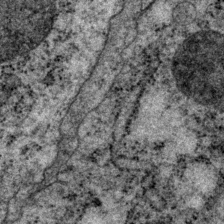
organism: P. pacificus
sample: Pharynx